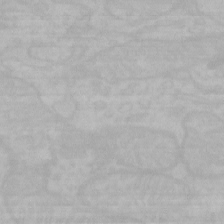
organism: Mouse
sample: Choroid plexus